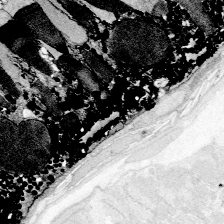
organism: Zebrafish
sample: Whole-Brain